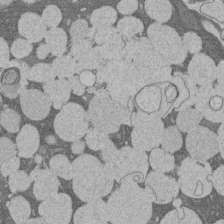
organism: Rat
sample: Salivary granule